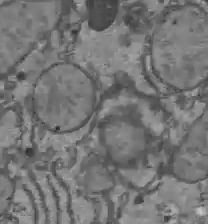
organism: C57BL Mouse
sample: Liver